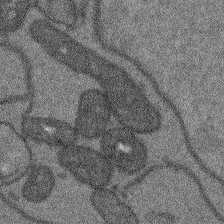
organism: Arabidopsis thaliana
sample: Root tip